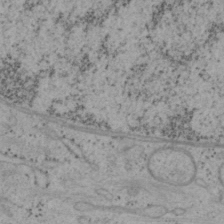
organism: Human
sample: HeLa cells